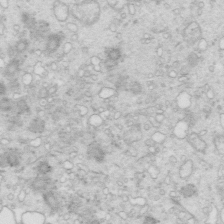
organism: Mouse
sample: Multiciliated cells